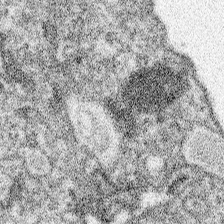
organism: Spongilla lacustris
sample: Neuroid cell